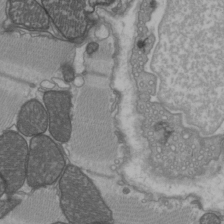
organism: C57BL Mouse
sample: Heart